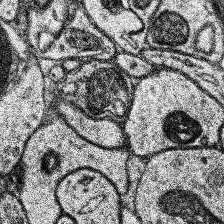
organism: Human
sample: Temporal Lobe